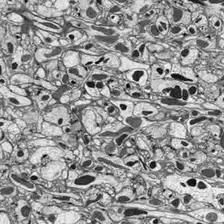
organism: Drosophila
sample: Optic lobe